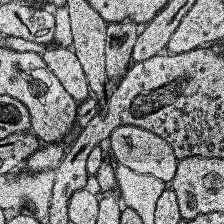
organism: Human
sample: Temporal Lobe